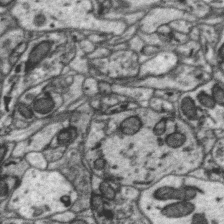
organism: Zebra finch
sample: Brain